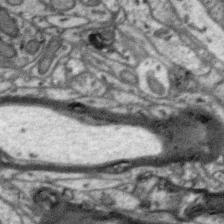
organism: Zebra finch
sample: Brain